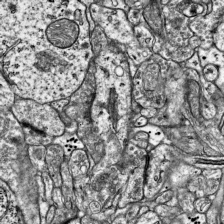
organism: Mouse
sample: Visual Cortex